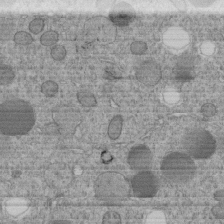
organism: C. elegans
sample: C. elegans embryo early stage